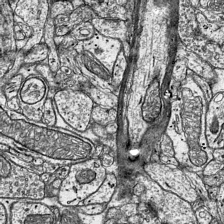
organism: Mouse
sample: Visual Cortex